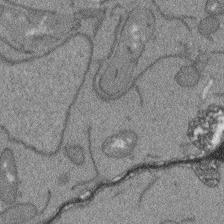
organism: Arabidopsis thaliana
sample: Root tip